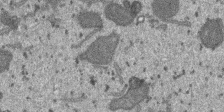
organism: Human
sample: Lung epithelial cells infected with SARS-CoV-2